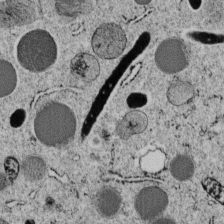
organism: C. elegans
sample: C. elegans embryo early stage